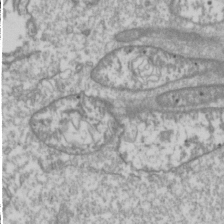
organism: Drosophila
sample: Cell division; meiosis; drosophila spermatocytes